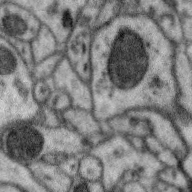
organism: Zebra finch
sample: Brain